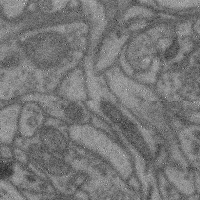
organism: Mouse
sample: Cerebral cortex